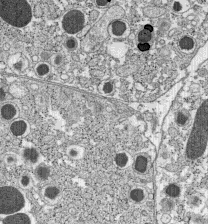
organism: C57BL Mouse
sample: Pancreatic islet